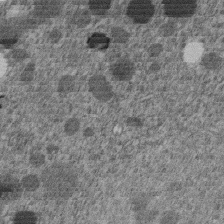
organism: C. elegans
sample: C. elegans embryo early stage